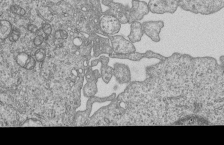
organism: Human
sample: MDA-MB-231 cells